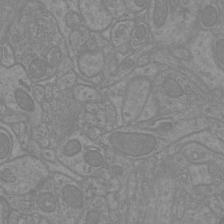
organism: Mouse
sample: Cortical neurons